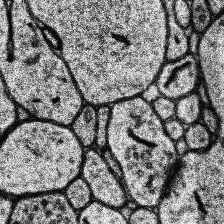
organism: Human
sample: Temporal Lobe